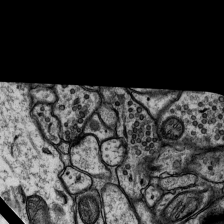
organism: Rat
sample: Hippocampus